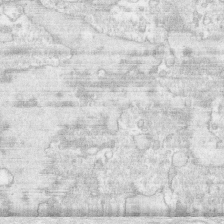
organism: Human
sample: CRL-1474